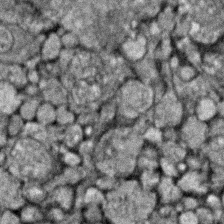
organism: Zebrafish